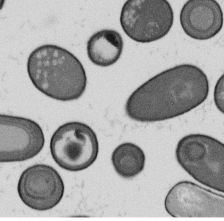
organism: B. subtilis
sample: Bacterial spore